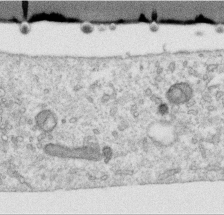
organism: Human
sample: Centriole in RPE cells